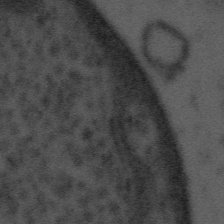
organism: Tuwongella immobilis